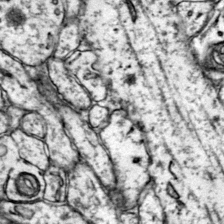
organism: Mouse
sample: Primary visual cortex